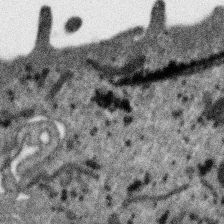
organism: Human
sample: Lung epithelial cells infected with SARS-CoV-2